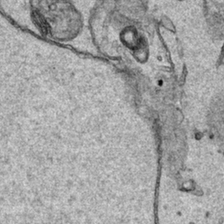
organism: Human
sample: Mitochondria in HCT116 cells